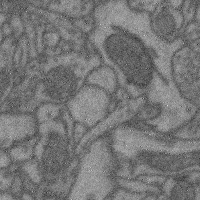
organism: Mouse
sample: Cerebral cortex